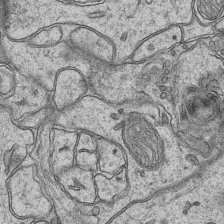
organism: Mouse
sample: CA1 Hippocampus